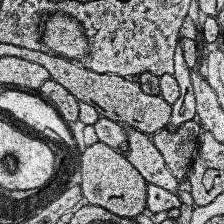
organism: Human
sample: Temporal Lobe